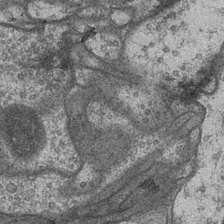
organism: Drosophila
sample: Optic medulla